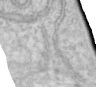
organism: Human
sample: Centriole in RPE cells